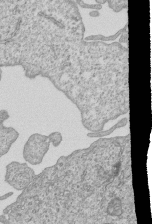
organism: Human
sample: MDA-MB-231 cells